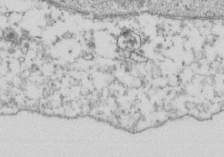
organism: Human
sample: Activated Jurkat CD4+ T cells